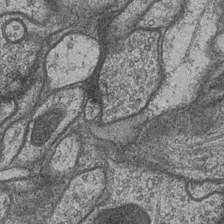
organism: Drosophila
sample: Optic medulla